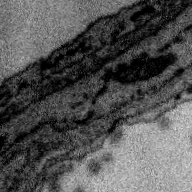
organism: Zebra finch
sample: Brain